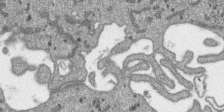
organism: Human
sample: Lung epithelial cells infected with SARS-CoV-2